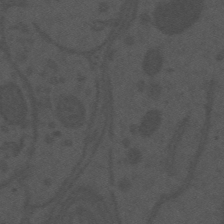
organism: Mouse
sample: Suprachiasmatic nucleus